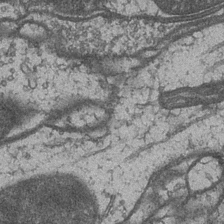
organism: Drosophila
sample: Optic medulla